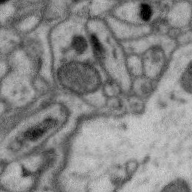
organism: Zebra finch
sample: Brain